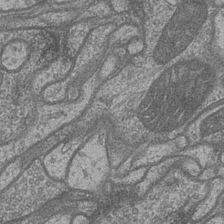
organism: Drosophila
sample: Optic medulla